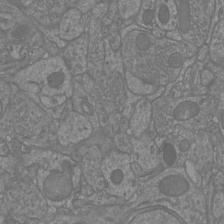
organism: Mouse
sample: Cortical neurons